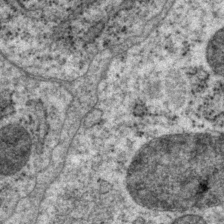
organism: P. pacificus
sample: Pharynx